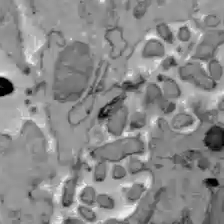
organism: C57BL Mouse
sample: Liver